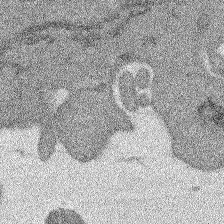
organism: Human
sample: HeLa cells